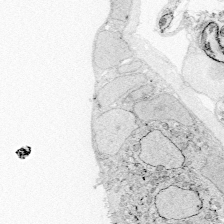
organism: Zebrafish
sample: Whole-Brain